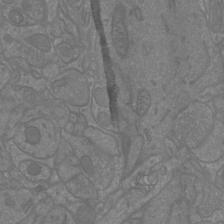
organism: Mouse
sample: Cortical neurons